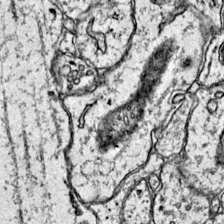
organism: Mouse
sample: Primary visual cortex